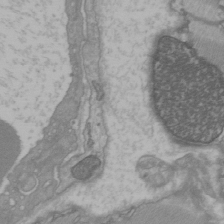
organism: C57BL Mouse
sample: Heart